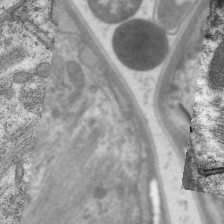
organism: C. elegans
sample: Pharynx